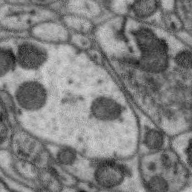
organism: Zebra finch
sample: Brain